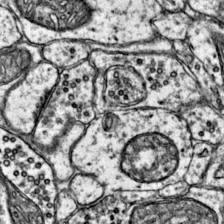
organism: Mouse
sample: Primary visual cortex